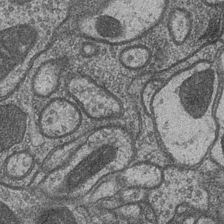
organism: Drosophila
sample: Optic medulla